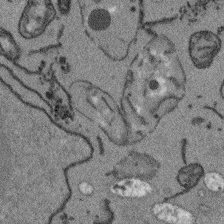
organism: Arabidopsis thaliana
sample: Root tip